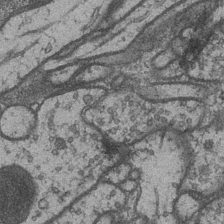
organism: Drosophila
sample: Optic medulla